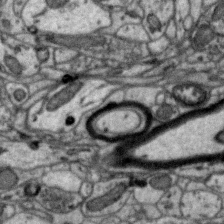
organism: Zebra finch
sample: Brain